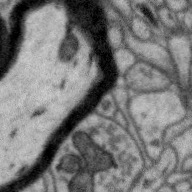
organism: Zebra finch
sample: Brain